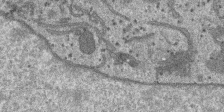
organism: Human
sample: Lung epithelial cells infected with SARS-CoV-2